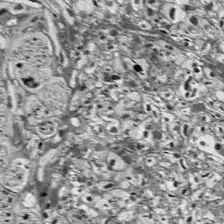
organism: Drosophila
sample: Optic lobe